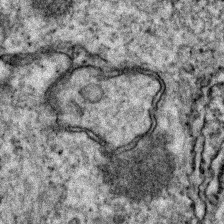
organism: Zebrafish